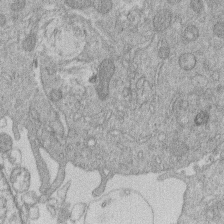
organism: Human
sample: Macrophage cells